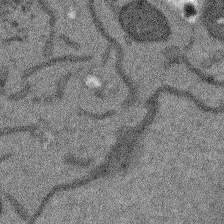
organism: Arabidopsis thaliana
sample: Root tip